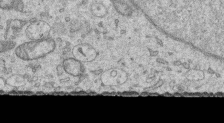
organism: Human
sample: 1205lu cells